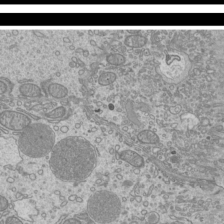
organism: Mouse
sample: Cilia; mouse epididymis